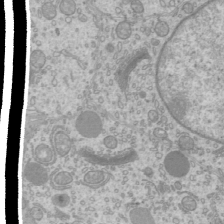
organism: Mouse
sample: Cilia; mouse epididymis